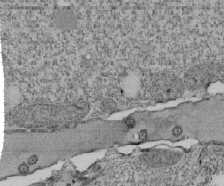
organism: Tetrahymena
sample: Cilia in tetrahymena